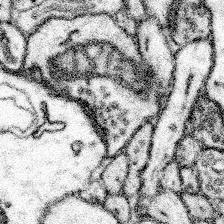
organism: Mouse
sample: Somatosensory cortex neuropil